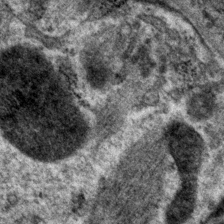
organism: P. pacificus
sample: Pharynx